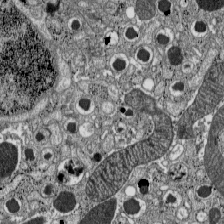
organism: C57BL Mouse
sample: Pancreatic islet